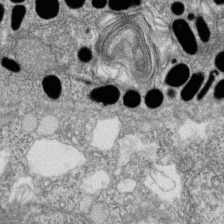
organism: Zebrafish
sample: Cilia; retinal pigment epithelium